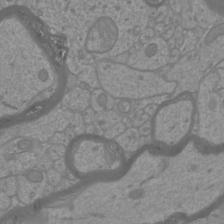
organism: Mouse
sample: Cortical neurons